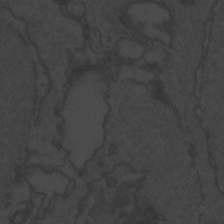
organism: Zebrafish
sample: Macrophage infected with Toxoplasma gondii